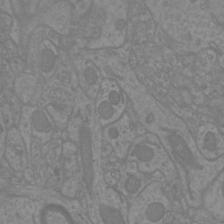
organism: Mouse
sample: Cortical neurons